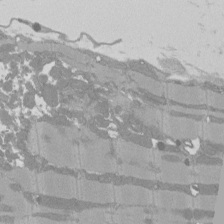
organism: Rat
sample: Left ventricle